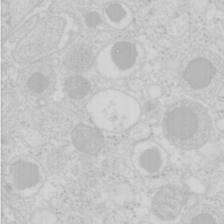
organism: Mouse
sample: Pancreas